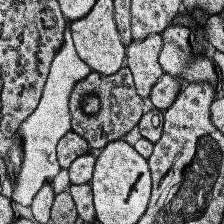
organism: Human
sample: Temporal Lobe